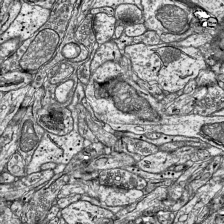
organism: Mouse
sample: Visual Cortex